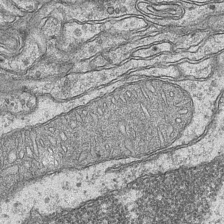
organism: Mouse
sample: CA1 Hippocampus